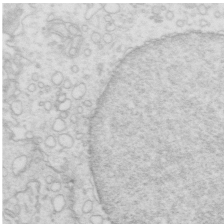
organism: Mouse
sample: Multiciliated cells